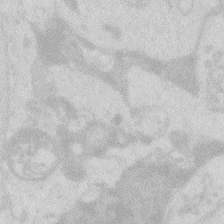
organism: Zebrafish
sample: Macrophage